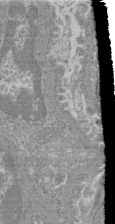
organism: Mouse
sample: Glomerulus